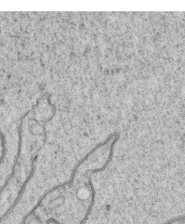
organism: C. elegans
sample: C. elegans oocyte; sperm cells